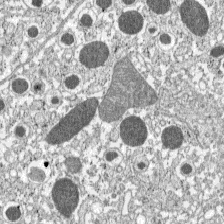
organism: C57BL Mouse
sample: Pancreatic islet